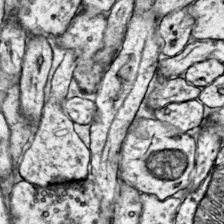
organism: Mouse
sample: Primary visual cortex